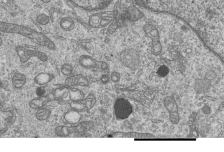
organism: Human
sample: MDA-MB-231 cells